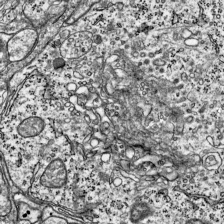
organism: Mouse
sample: Visual Cortex